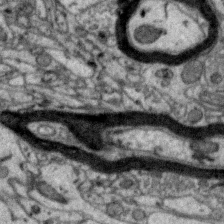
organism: Zebra finch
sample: Brain